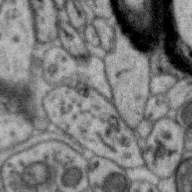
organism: Zebra finch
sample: Brain